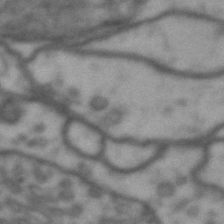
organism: Drosophila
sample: Brain